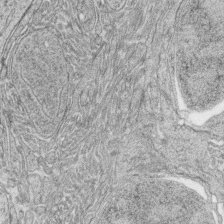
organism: Zebrafish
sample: synaptic ribbons in rod cells and cone cells